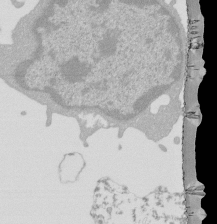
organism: Mouse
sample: Activated Pmel transgenic CD8+ T Cells